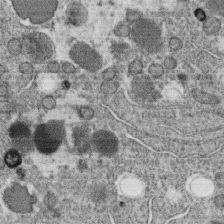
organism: C. elegans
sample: C. elegans oocyte; sperm cells